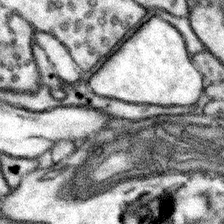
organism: Mouse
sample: Somatosensory cortex neuropil